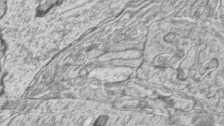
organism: Zebrafish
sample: synaptic ribbons in rod cells and cone cells